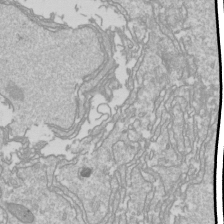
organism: Drosophila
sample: Cell division; meiosis; drosophila spermatocytes